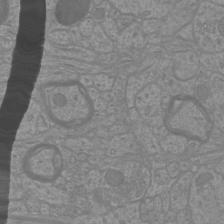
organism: Mouse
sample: Cortical neurons